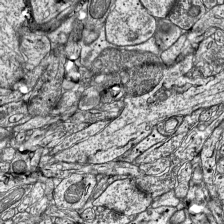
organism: Mouse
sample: Visual Cortex